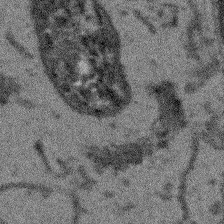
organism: Arabidopsis thaliana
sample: Root tip